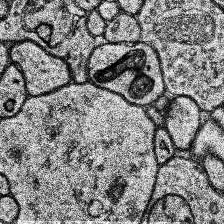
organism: Human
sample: Temporal Lobe